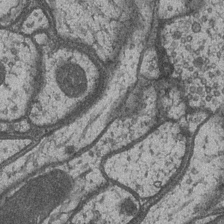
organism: Drosophila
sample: Optic medulla